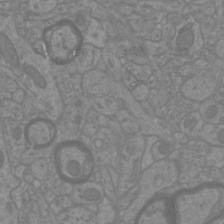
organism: Mouse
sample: Cortical neurons